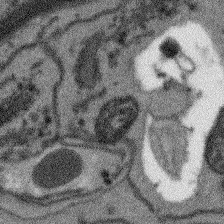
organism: Arabidopsis thaliana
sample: Root tip